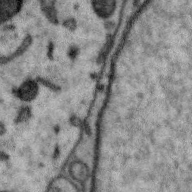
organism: Zebra finch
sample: Brain